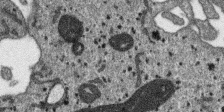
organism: Human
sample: Lung epithelial cells infected with SARS-CoV-2